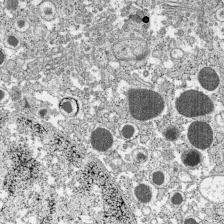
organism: C57BL Mouse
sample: Pancreatic islet